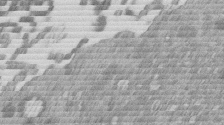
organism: Mouse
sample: Dividing mouse embryo 1 cell stage